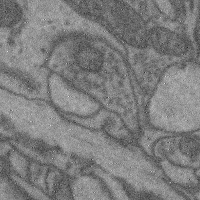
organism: Mouse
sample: Cerebral cortex